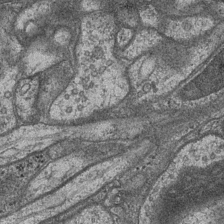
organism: Drosophila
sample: Optic medulla